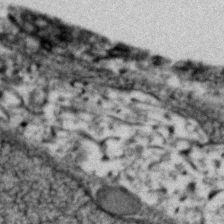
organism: Zebrafish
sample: Zebrafish embryo